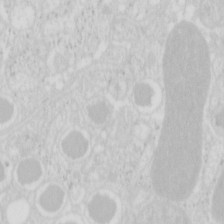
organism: Mouse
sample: Pancreas